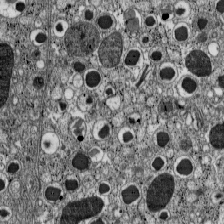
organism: C57BL Mouse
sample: Pancreatic islet